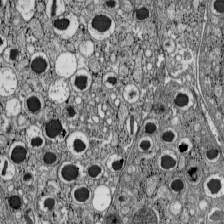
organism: C57BL Mouse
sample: Pancreatic islet